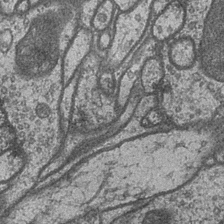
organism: Drosophila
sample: Optic medulla